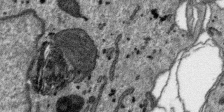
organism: Human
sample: Lung epithelial cells, uninfected (mock) control